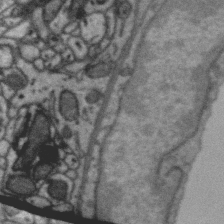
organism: Zebra finch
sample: Brain